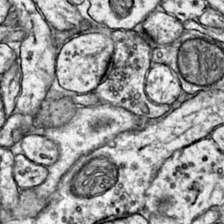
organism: Mouse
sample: Primary visual cortex